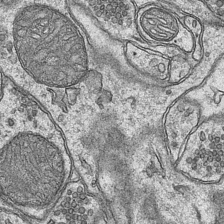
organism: Mouse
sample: CA1 Hippocampus